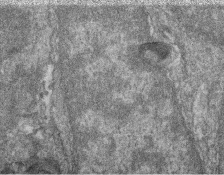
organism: Zebrafish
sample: Cilia; retinal pigment epithelium